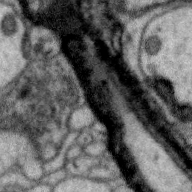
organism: Zebra finch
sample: Brain